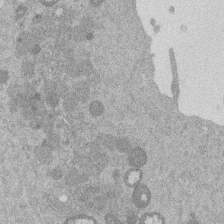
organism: Mouse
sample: Dividing mouse embryo 1 cell stage